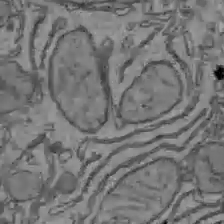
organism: C57BL Mouse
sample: Liver